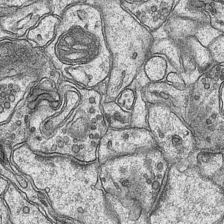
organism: Mouse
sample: CA1 Hippocampus